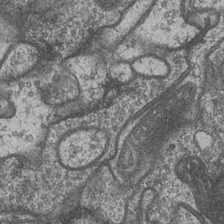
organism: Drosophila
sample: Optic medulla